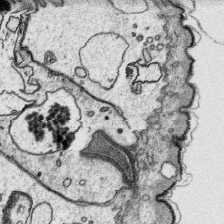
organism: Platynereis dumerilii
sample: Parapodia